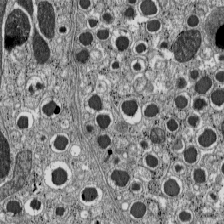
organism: C57BL Mouse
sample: Pancreatic islet